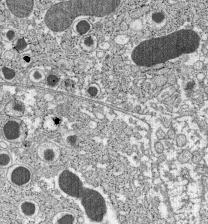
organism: C57BL Mouse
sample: Pancreatic islet